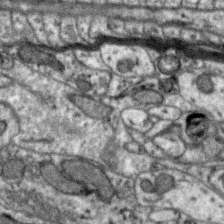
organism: Zebra finch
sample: Brain